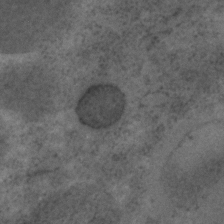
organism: C. elegans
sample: C. elegans embryo